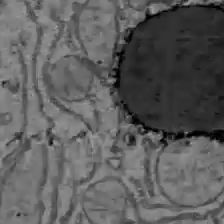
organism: C57BL Mouse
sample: Liver